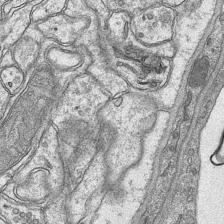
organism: Mouse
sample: CA1 Hippocampus